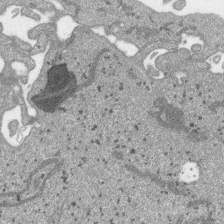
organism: Human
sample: Lung epithelial cells infected with SARS-CoV-2